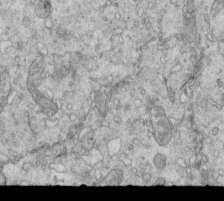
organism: Mouse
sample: Multiciliated cells